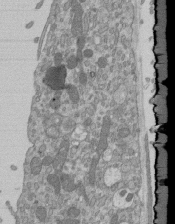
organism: Mouse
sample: ED-1 cell nuclei; centrioles